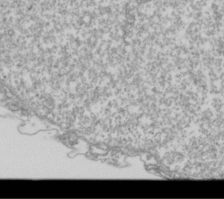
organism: Drosophila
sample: Cell division; meiosis; drosophila spermatocytes